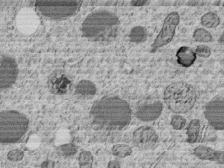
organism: C. elegans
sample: C. elegans embryo early stage